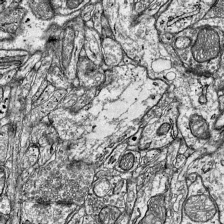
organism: Mouse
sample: Visual Cortex